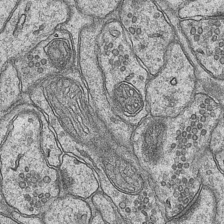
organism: Mouse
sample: CA1 Hippocampus